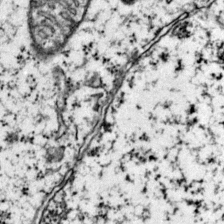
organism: Mouse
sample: Primary visual cortex